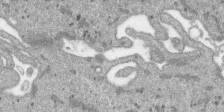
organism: Human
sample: Lung epithelial cells infected with SARS-CoV-2